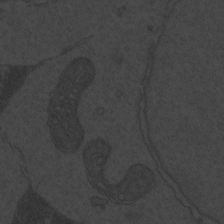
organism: Zebrafish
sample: Macrophage infected with Toxoplasma gondii